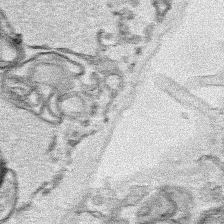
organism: Human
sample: Mitochondria in HCT116 cells